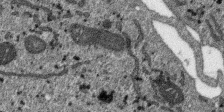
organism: Human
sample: Lung epithelial cells infected with SARS-CoV-2